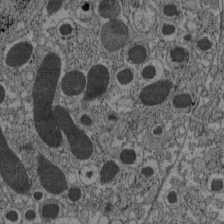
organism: C57BL Mouse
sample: Pancreatic islet